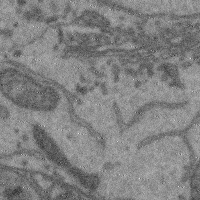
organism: Mouse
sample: Cerebral cortex